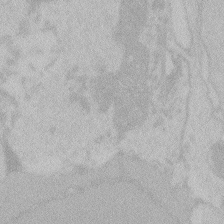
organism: Zebrafish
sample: Macrophage infected with Toxoplasma gondii